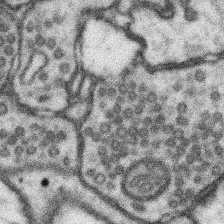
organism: Mouse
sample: Somatosensory cortex neuropil